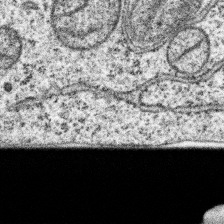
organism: Human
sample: HeLa cells